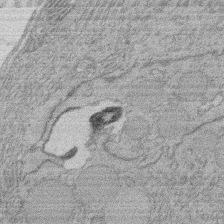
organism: Rat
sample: Salivary granule